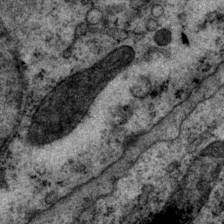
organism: P. pacificus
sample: Pharynx